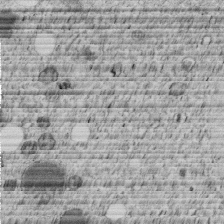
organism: C. elegans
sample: C. elegans embryo early stage